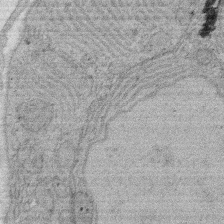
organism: Rat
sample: Salivary granule